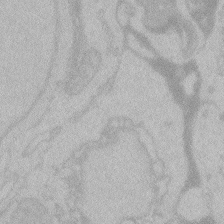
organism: Zebrafish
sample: Macrophage infected with Toxoplasma gondii